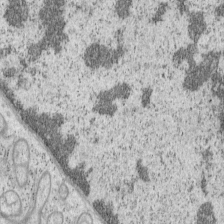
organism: Mouse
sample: OT-I killer T cells with ID8 ovarian cancer cells